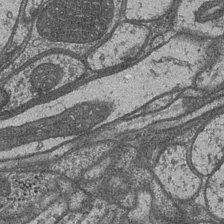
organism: Drosophila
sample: Optic medulla